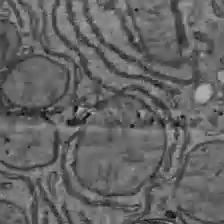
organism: C57BL Mouse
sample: Liver